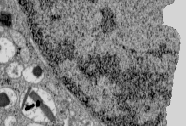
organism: C57BL Mouse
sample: Pancreatic islet